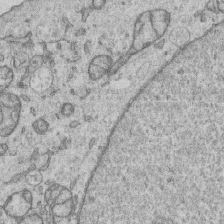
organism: Human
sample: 1205lu cells